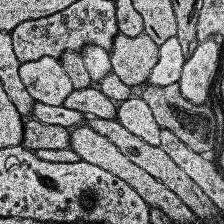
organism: Human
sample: Temporal Lobe